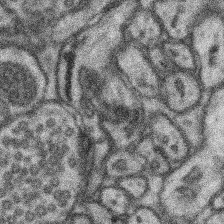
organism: Mouse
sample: Somatosensory cortex neuropil